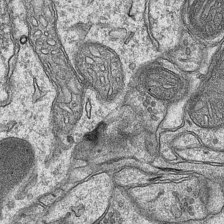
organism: Mouse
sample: CA1 Hippocampus